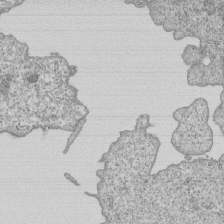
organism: Human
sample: MDA-MB-231 cells